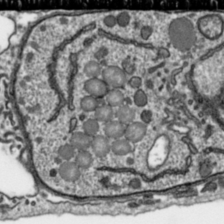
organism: Toxoplasma gondii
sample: Parasites in a vacuole inside a host cell